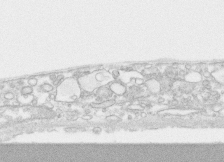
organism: Human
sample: CRL-1474